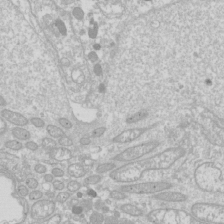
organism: Drosophila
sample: Cell division; meiosis; drosophila spermatocytes